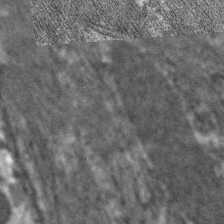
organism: C. elegans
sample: Pharynx